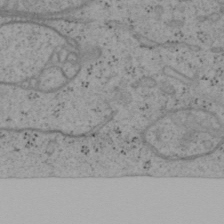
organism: Human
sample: HeLa cells